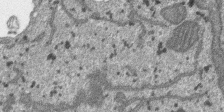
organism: Human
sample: Lung epithelial cells infected with SARS-CoV-2